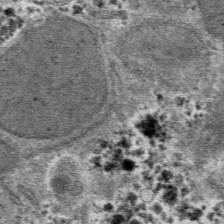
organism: Mouse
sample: Mouse hepatocytes